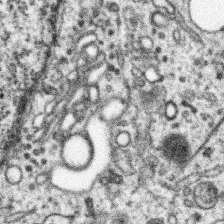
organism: Human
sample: HeLa cells